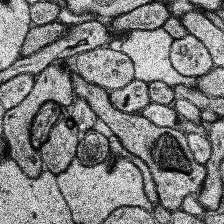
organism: Human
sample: Temporal Lobe